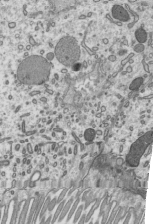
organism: Mouse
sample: Mouse epididymis efferent ductule cilia